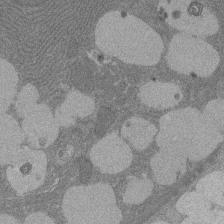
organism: Rat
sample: Salivary granule